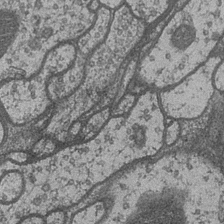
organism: Drosophila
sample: Optic medulla